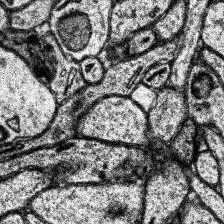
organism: Human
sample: Temporal Lobe